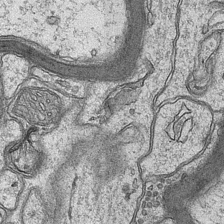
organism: Mouse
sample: CA1 Hippocampus